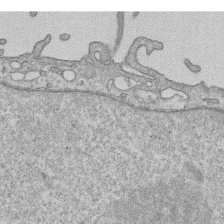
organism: Human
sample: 1205lu cells